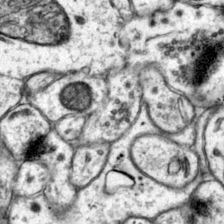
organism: Mouse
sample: Primary visual cortex